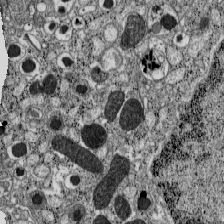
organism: C57BL Mouse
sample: Pancreatic islet